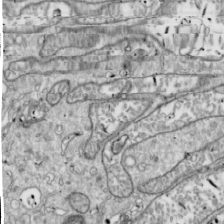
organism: Drosophila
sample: Cell division; meiosis; drosophila spermatocytes